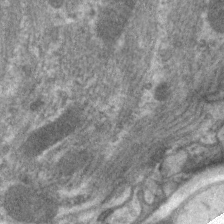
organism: C. elegans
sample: Pharynx